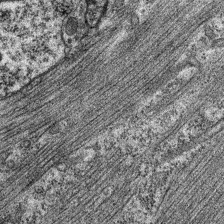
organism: C. elegans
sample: Pharynx